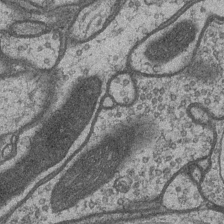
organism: Drosophila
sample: Optic medulla